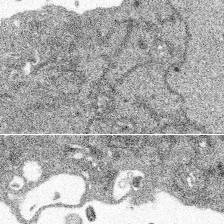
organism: Spongilla lacustris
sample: Multiple